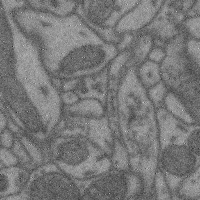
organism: Mouse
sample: Cerebral cortex